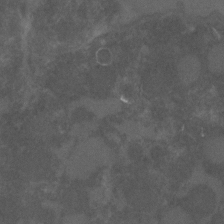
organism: C. elegans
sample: C. elegans embryo